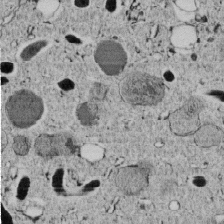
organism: C. elegans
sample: C. elegans embryo early stage